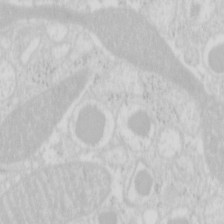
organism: Mouse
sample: Pancreas